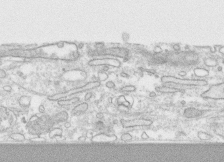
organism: Human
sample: CRL-1474